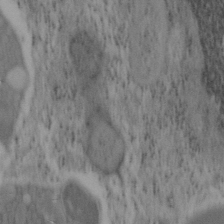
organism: Mouse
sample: OT-I killer T cells with ID8 ovarian cancer cells